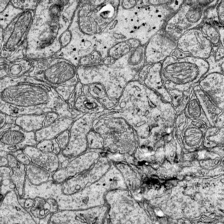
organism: Mouse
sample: Visual Cortex